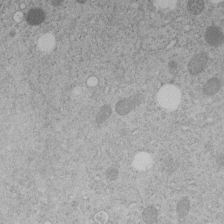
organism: C. elegans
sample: C. elegans embryo early stage